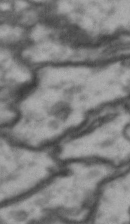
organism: Drosophila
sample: Brain